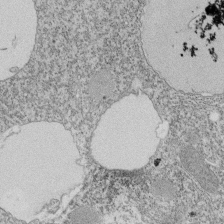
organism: Tetrahymena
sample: Cilia in tetrahymena